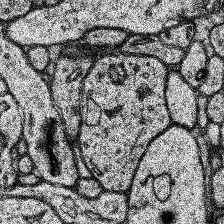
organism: Human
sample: Temporal Lobe